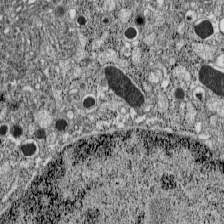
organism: C57BL Mouse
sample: Pancreatic islet